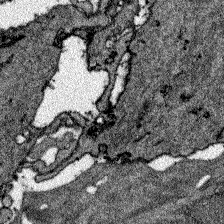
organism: Zebrafish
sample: Larval olfactory bulb